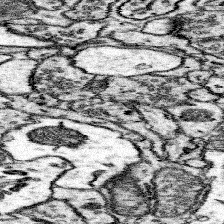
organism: Mouse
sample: Somatosensory cortex neuropil